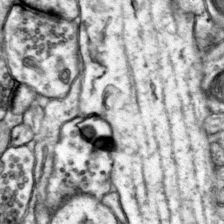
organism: Mouse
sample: Primary visual cortex